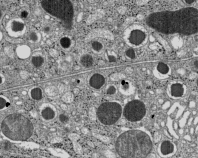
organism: C57BL Mouse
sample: Pancreatic islet